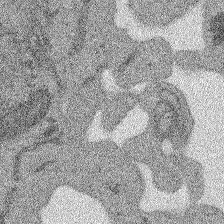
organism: Human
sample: HeLa cells